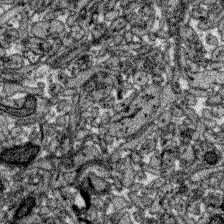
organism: Zebrafish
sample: Larval olfactory bulb